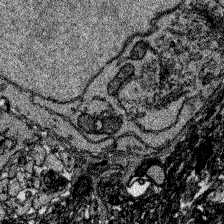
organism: Zebrafish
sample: Larval olfactory bulb